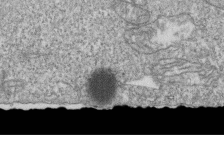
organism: Human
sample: HeLa cell HIV synapse